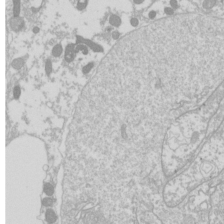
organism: Drosophila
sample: Cell division; meiosis; drosophila spermatocytes